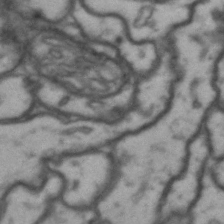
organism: Drosophila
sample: Brain